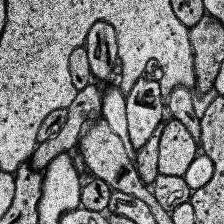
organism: Human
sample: Temporal Lobe